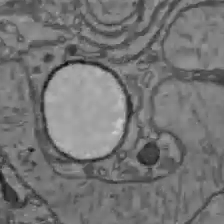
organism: C57BL Mouse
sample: Liver